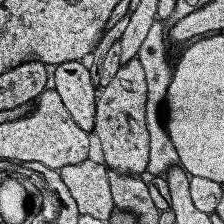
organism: Human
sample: Temporal Lobe